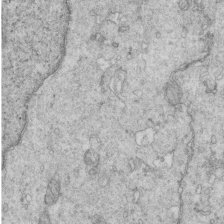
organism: Mouse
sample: Multiciliated cells